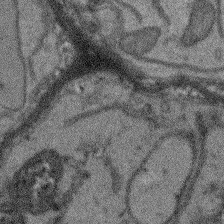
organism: Arabidopsis thaliana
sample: Root tip